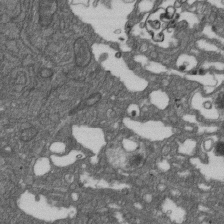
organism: Drosophila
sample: Nephrocyte